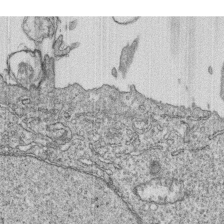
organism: Human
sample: HeLa cell HIV synapse